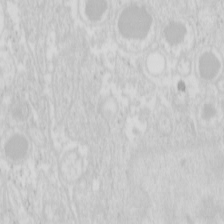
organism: Mouse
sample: Pancreas